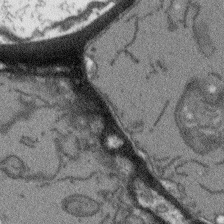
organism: Arabidopsis thaliana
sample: Root tip